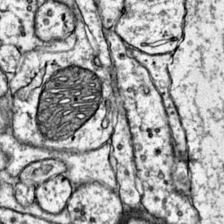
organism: Mouse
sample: Primary visual cortex